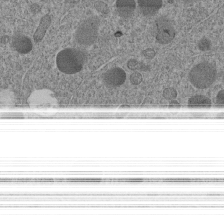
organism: C. elegans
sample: C. elegans embryo early stage